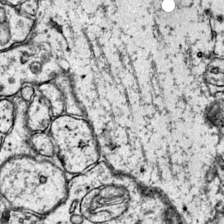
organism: Mouse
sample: Primary visual cortex